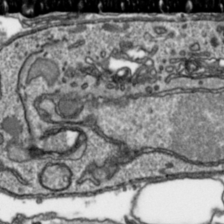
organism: Toxoplasma gondii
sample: Parasites in a vacuole inside a host cell